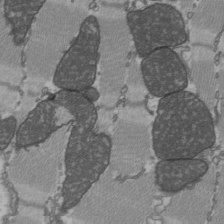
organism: C57BL Mouse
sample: Heart